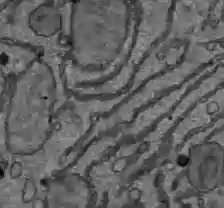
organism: C57BL Mouse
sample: Liver